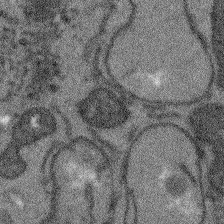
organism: Arabidopsis thaliana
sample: Root tip